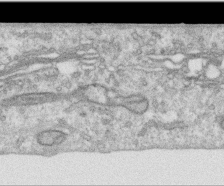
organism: Human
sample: Centriole in RPE cells